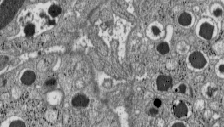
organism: C57BL Mouse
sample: Pancreatic islet